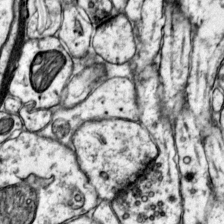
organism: Mouse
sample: Primary visual cortex